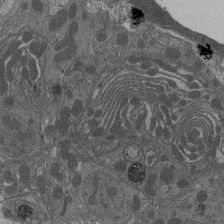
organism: Drosophila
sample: Antenna